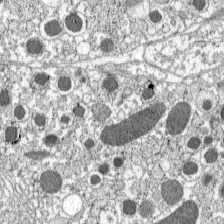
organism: C57BL Mouse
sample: Pancreatic islet